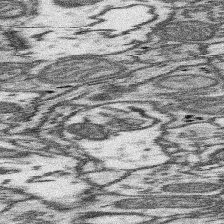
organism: Mouse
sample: Somatosensory cortex neuropil